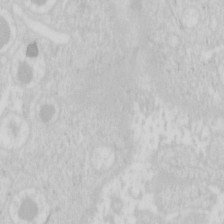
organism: Mouse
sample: Pancreas